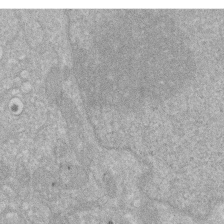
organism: Human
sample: HIV infected U937 cells